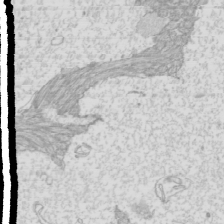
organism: Mouse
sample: Cilia; mouse epididymis